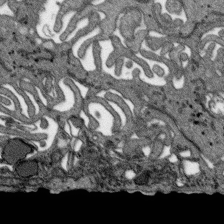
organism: Human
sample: Lung epithelial cells, uninfected (mock) control